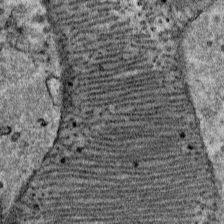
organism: Mouse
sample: Mouse Salivary gland